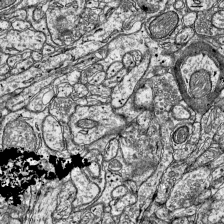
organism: Mouse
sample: Visual Cortex